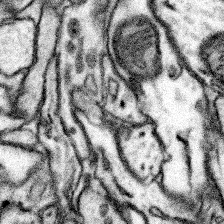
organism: Mouse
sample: Somatosensory cortex neuropil